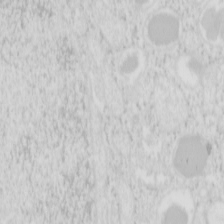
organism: Mouse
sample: Pancreas